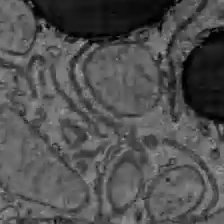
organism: C57BL Mouse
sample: Liver